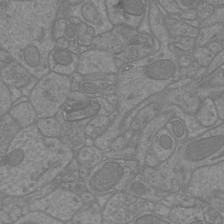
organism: Mouse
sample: Cortical neurons